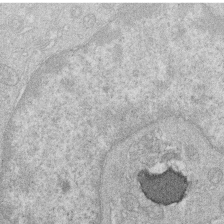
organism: Human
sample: Macrophage cells